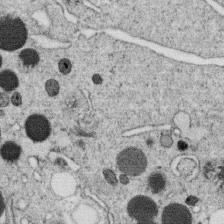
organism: C. elegans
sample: C. elegans oocyte; sperm cells